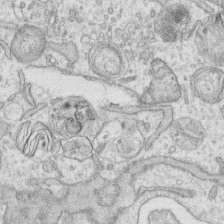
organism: Human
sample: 1205lu cells